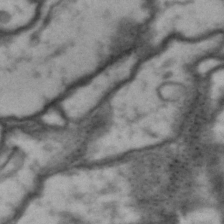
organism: Drosophila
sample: Brain